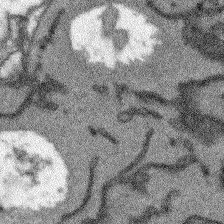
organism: Arabidopsis thaliana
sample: Root tip